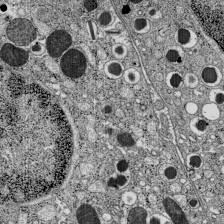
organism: C57BL Mouse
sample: Pancreatic islet